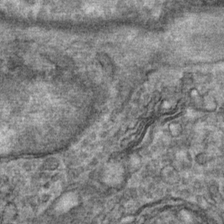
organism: Mouse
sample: Mouse Salivary gland